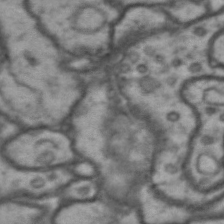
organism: Drosophila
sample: Brain